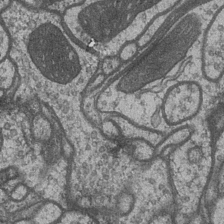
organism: Drosophila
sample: Optic medulla